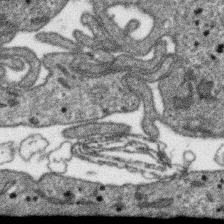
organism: Human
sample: Lung epithelial cells infected with SARS-CoV-2